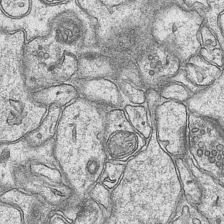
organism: Mouse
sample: CA1 Hippocampus